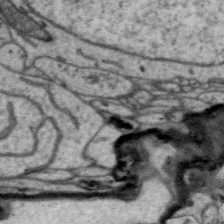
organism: Zebra finch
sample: Brain